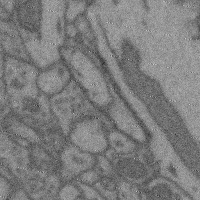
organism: Mouse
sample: Cerebral cortex